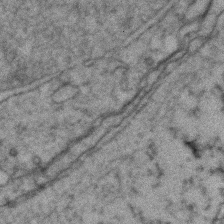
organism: Zebrafish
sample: Zebrafish embryo